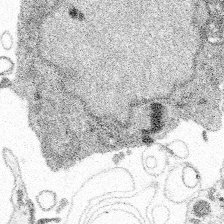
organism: Spongilla lacustris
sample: Multiple